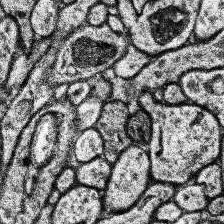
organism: Human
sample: Temporal Lobe